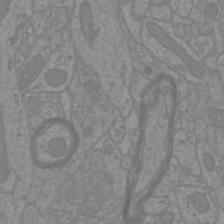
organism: Mouse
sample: Cortical neurons